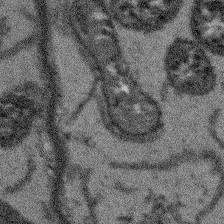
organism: Arabidopsis thaliana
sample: Root tip